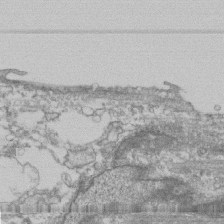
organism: Human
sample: Fibroblast cells